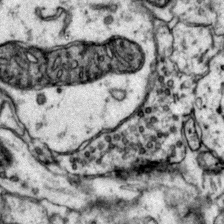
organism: Mouse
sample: Primary visual cortex